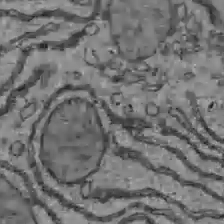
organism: C57BL Mouse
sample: Liver